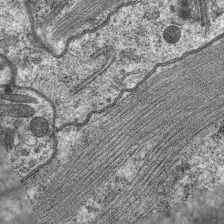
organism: C. elegans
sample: Pharynx